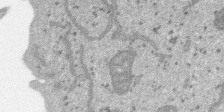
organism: Human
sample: Lung epithelial cells infected with SARS-CoV-2